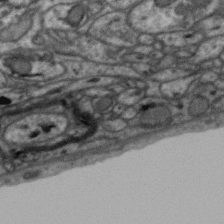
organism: Zebra finch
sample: Brain